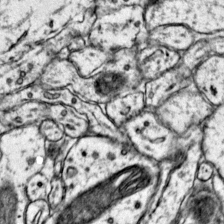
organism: Mouse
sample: Primary visual cortex